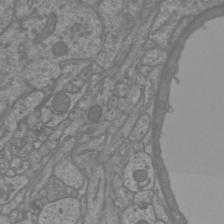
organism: Mouse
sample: Cortical neurons